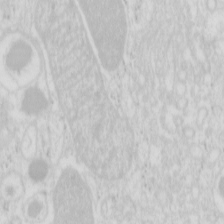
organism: Mouse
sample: Pancreas